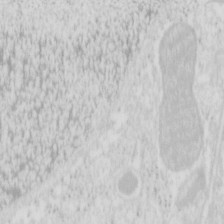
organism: Mouse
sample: Pancreas